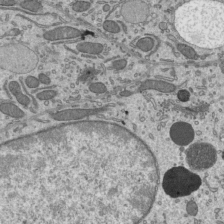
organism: Mouse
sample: Mouse epididymis efferent ductule cilia